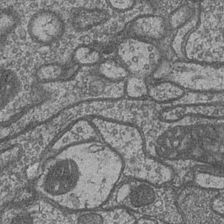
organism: Drosophila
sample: Optic medulla